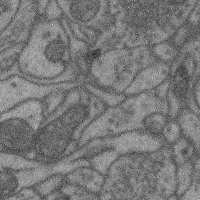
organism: Mouse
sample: Cerebral cortex